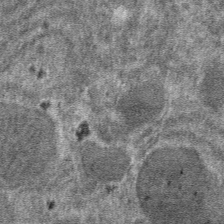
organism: Mouse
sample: Mouse hepatocytes